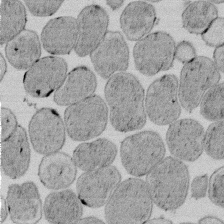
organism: E. coli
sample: Bacterial nucleoid